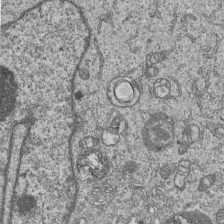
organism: Human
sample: MDA-MB-231 cells